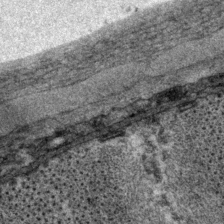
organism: P. pacificus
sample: Pharynx